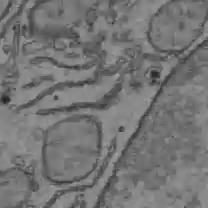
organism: C57BL Mouse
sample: Liver